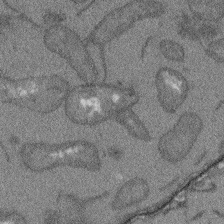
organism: Arabidopsis thaliana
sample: Root tip